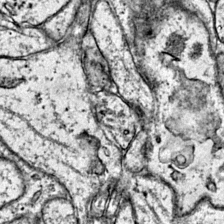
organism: Mouse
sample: Primary visual cortex